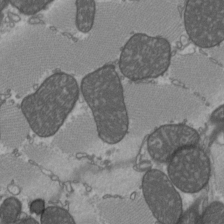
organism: C57BL Mouse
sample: Heart